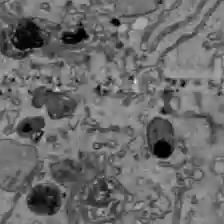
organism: C57BL Mouse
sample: Liver